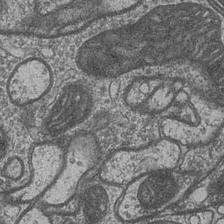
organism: Drosophila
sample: Optic medulla